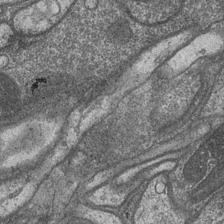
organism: Drosophila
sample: Optic medulla